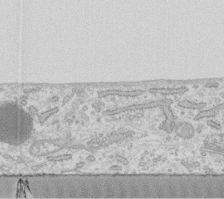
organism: Human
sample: Fibroblast cells